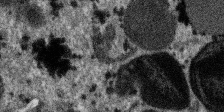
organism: Human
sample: Lung epithelial cells infected with SARS-CoV-2